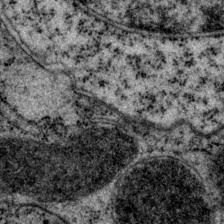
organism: P. pacificus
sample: Pharynx